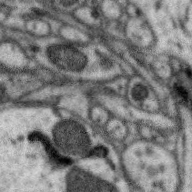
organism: Zebra finch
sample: Brain